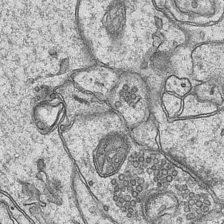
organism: Mouse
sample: CA1 Hippocampus